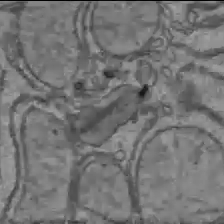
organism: C57BL Mouse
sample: Liver